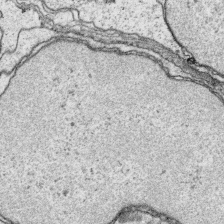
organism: Platynereis dumerilii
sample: Parapodia